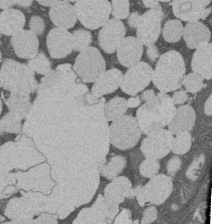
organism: Rat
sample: Salivary granule